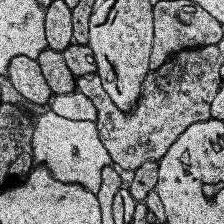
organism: Human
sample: Temporal Lobe